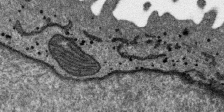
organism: Human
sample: Lung epithelial cells, uninfected (mock) control